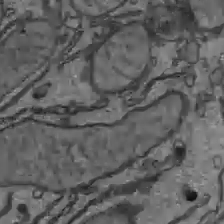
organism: C57BL Mouse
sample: Liver